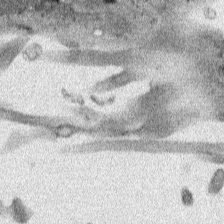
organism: Human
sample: Mitochondria in HCT116 cells